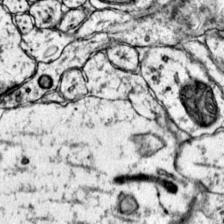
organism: Mouse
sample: Primary visual cortex